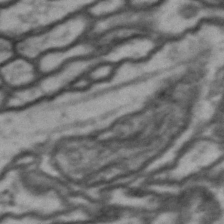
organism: Drosophila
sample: Brain